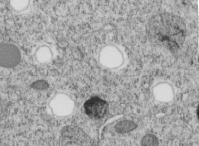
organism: C. elegans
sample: C. elegans embryo early stage